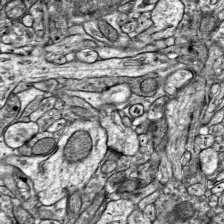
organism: Mouse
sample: Visual Cortex